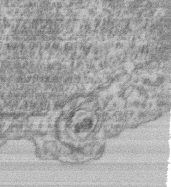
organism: Mouse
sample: T cell stromal cell synapse